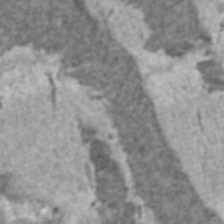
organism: C57BL Mouse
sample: Heart